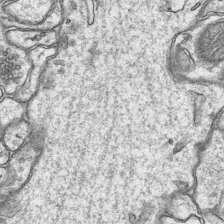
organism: Mouse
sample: CA1 Hippocampus